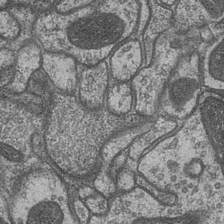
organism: Drosophila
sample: Optic medulla